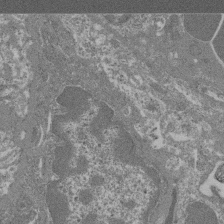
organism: Mouse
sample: Glomerulus